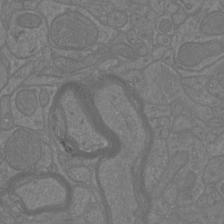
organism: Mouse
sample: Cortical neurons